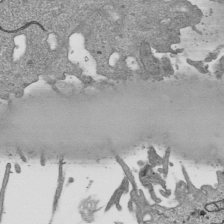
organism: Human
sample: Mitochondria in HCT116 cells